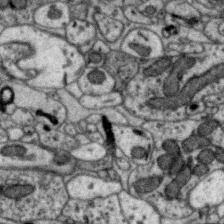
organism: Zebra finch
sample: Brain